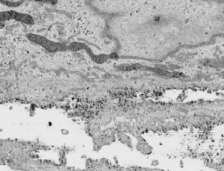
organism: Human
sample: Mitochondria in HCT116 cells